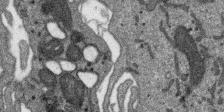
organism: Human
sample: Lung epithelial cells infected with SARS-CoV-2